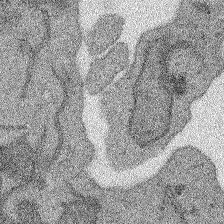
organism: Human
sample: HeLa cells